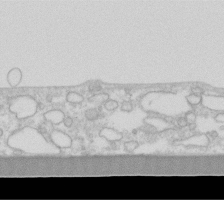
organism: Human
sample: Fibroblast cells